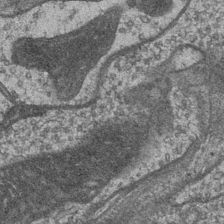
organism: Drosophila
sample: Optic medulla